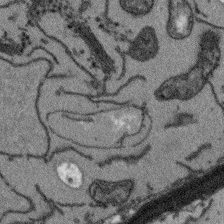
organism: Arabidopsis thaliana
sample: Root tip